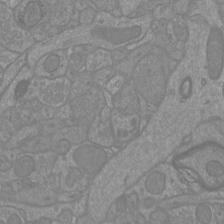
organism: Mouse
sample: Cortical neurons